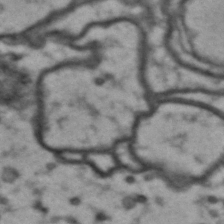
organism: Drosophila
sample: Brain